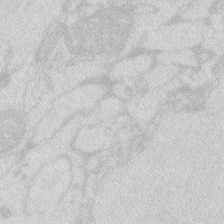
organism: Zebrafish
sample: Macrophage